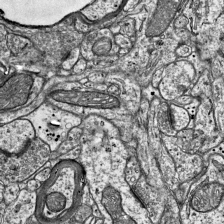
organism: Mouse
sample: Visual Cortex